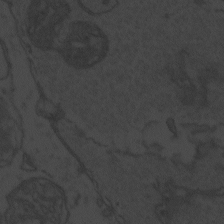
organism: Zebrafish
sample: Macrophage infected with Toxoplasma gondii